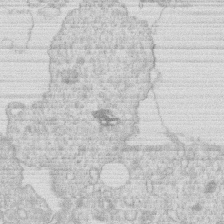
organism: Human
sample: Macrophage cells